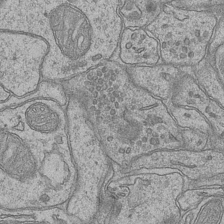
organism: Mouse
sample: CA1 Hippocampus